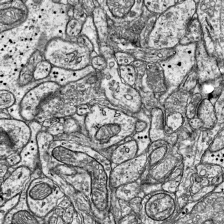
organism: Mouse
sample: Visual Cortex